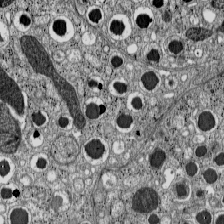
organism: C57BL Mouse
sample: Pancreatic islet